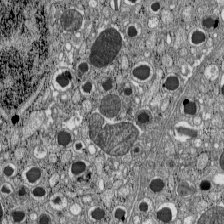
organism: C57BL Mouse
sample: Pancreatic islet